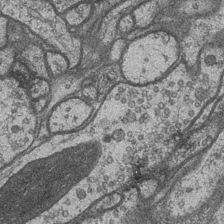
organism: Drosophila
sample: Optic medulla